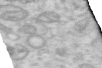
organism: Human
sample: Centriole in RPE cells